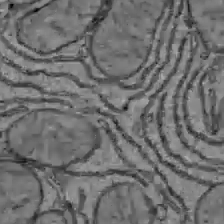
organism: C57BL Mouse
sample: Liver